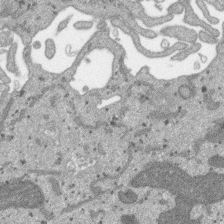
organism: Human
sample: Lung epithelial cells infected with SARS-CoV-2